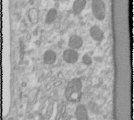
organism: Human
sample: Cilia; basal body in RPE cells